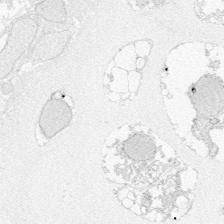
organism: Zebrafish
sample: Whole-Brain